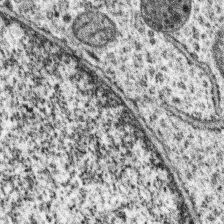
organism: Human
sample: HeLa cells